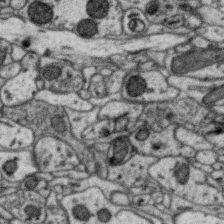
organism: Zebra finch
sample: Brain